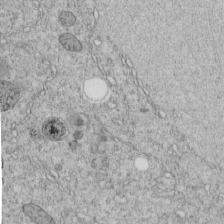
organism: C. elegans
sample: C. elegans embryo early stage